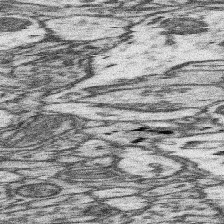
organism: Mouse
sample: Somatosensory cortex neuropil